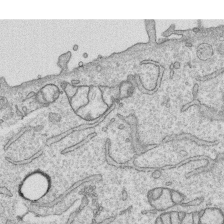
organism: Human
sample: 1205lu cells